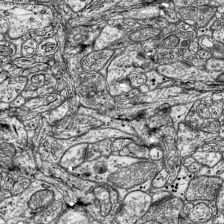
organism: Mouse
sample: Visual Cortex